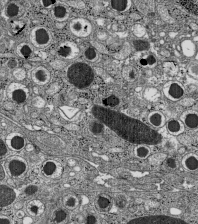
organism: C57BL Mouse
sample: Pancreatic islet